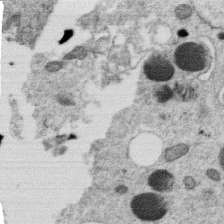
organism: C. elegans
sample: C. elegans oocyte; sperm cells